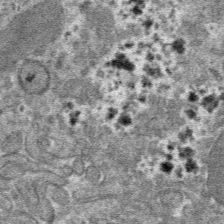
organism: Mouse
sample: Mouse hepatocytes